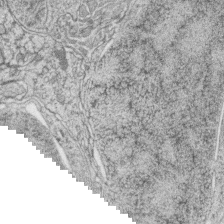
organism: Zebrafish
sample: synaptic ribbons in rod cells and cone cells